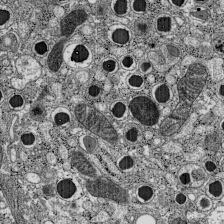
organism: C57BL Mouse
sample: Pancreatic islet